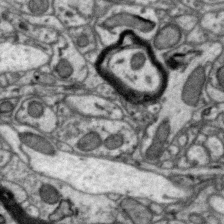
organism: Zebra finch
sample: Brain